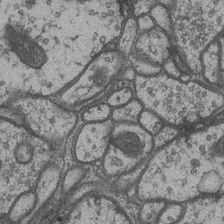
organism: Drosophila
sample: Optic medulla